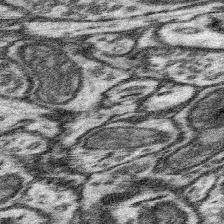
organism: Mouse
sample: Somatosensory cortex neuropil